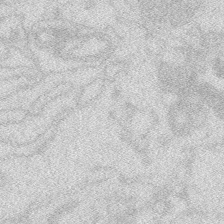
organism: Zebrafish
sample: Macrophage